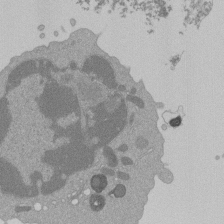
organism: Mouse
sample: Activated Pmel transgenic CD8+ T Cells